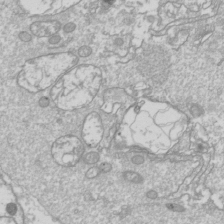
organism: Drosophila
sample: Cell division; meiosis; drosophila spermatocytes